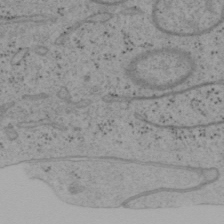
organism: Human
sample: HeLa cells